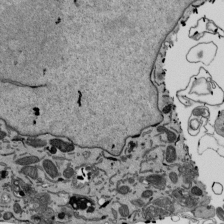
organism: Mouse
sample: ED-1 cell nuclei; centrioles